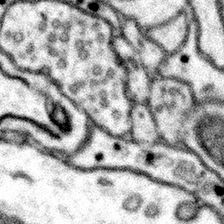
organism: Mouse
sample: Somatosensory cortex neuropil